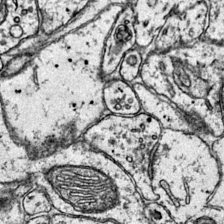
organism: Mouse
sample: Primary visual cortex